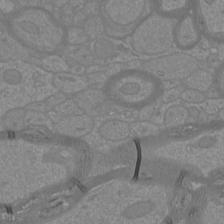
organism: Mouse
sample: Cortical neurons